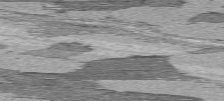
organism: C57BL Mouse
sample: Heart